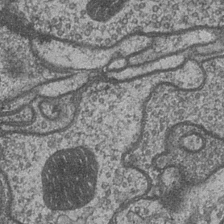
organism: Drosophila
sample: Optic medulla